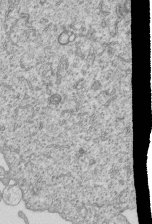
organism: Human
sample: MDA-MB-231 cells